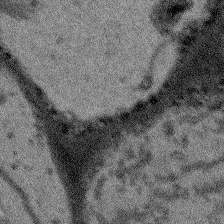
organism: Arabidopsis thaliana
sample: Root tip